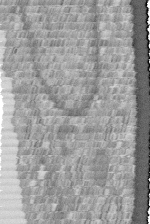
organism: Human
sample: Centriole in fibroblast cells